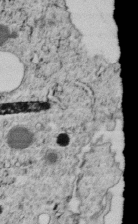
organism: C. elegans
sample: C. elegans embryo early stage